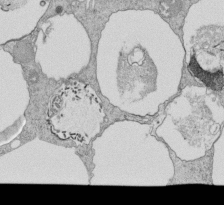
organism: Tetrahymena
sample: Cilia in tetrahymena